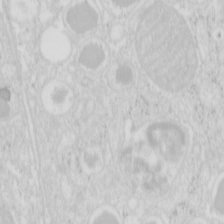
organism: Mouse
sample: Pancreas